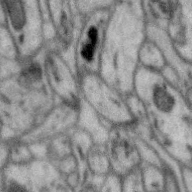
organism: Zebra finch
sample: Brain